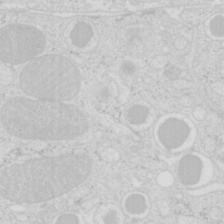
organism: Mouse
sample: Pancreas